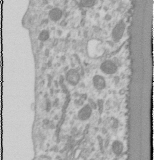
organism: Human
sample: Cilia; basal body in RPE cells